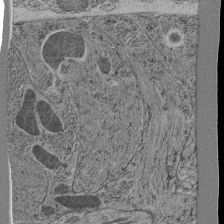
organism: C. elegans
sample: C. elegans pharynx